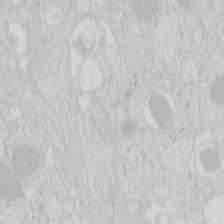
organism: Mouse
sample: Pancreas